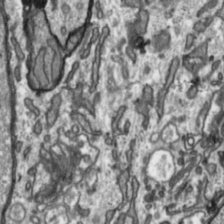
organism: Toxoplasma gondii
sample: Parasites in a vacuole inside a host cell